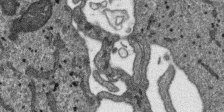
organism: Human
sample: Lung epithelial cells infected with SARS-CoV-2